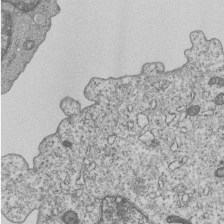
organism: Human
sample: MDA-MB-231 cells